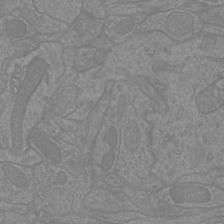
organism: Mouse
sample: Cortical neurons